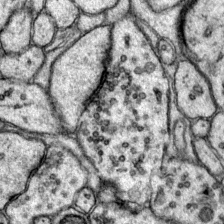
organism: Mouse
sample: Primary visual cortex